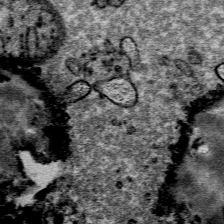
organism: Mouse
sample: Mouse Salivary gland